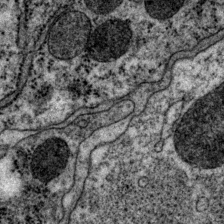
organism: P. pacificus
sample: Pharynx